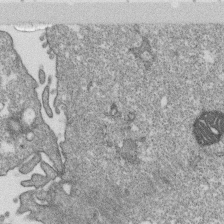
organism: African green monkey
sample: Vero E6 cells infected with SARS-CoV-2